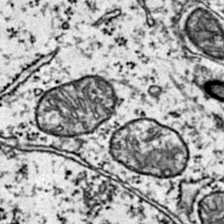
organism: Mouse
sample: Primary visual cortex